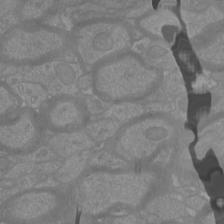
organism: Mouse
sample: Cortical neurons